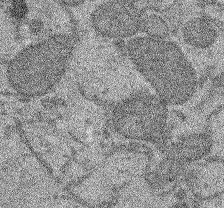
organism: Human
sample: HeLa cells